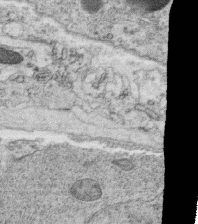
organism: C. elegans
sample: C. elegans oocyte; sperm cells